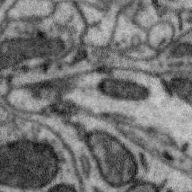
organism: Zebra finch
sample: Brain